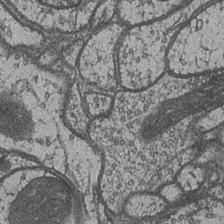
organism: Drosophila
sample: Optic medulla